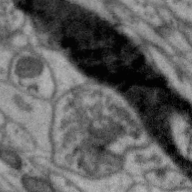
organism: Zebra finch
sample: Brain